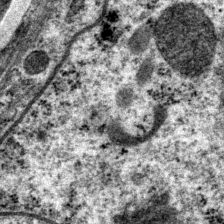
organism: P. pacificus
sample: Pharynx